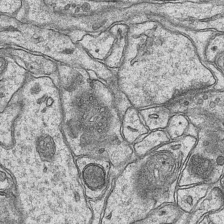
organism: Mouse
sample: CA1 Hippocampus